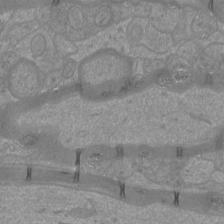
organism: Mouse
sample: Cortical neurons